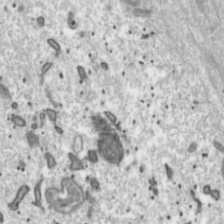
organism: Toxoplasma gondii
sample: Parasites in a vacuole inside a host cell